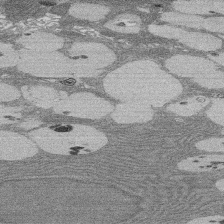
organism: Rat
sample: Salivary granule